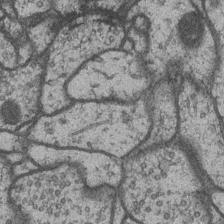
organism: Drosophila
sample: Optic medulla